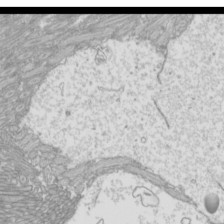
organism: Mouse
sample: Cilia; mouse epididymis